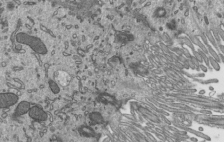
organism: Mouse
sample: Mouse epididymis efferent ductule cilia